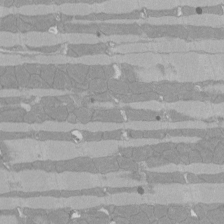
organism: Rat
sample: Left ventricle